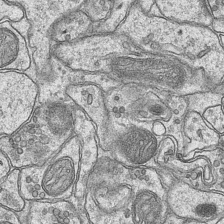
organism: Mouse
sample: CA1 Hippocampus